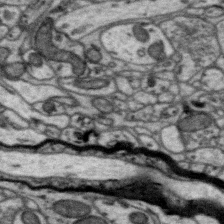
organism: Zebra finch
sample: Brain